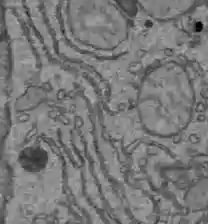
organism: C57BL Mouse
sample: Liver